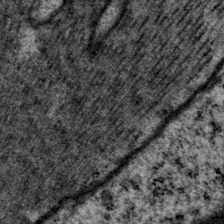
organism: P. pacificus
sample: Pharynx